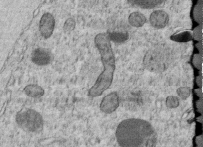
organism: C. elegans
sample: C. elegans embryo early stage